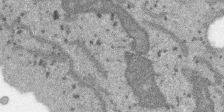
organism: Human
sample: Lung epithelial cells infected with SARS-CoV-2